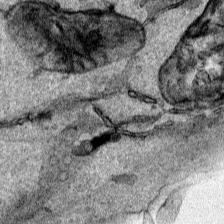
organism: Human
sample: Mitochondria in HCT116 cells